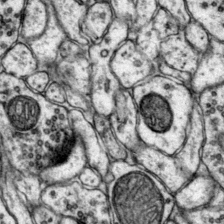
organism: Mouse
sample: Primary visual cortex